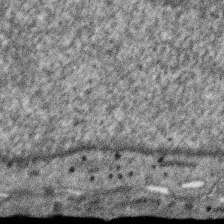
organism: Human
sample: Lung epithelial cells infected with SARS-CoV-2